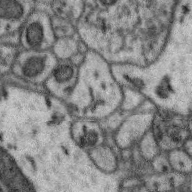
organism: Zebra finch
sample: Brain